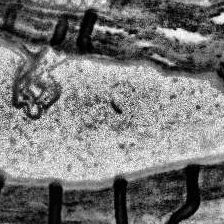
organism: Human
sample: Temporal Lobe